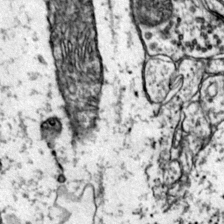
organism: Mouse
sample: Primary visual cortex